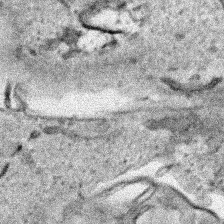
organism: Human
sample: Mitochondria in HCT116 cells